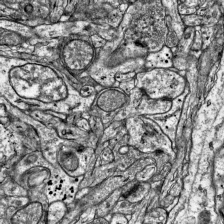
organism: Mouse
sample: Visual Cortex